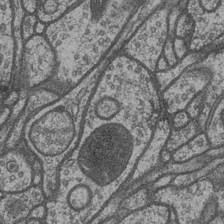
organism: Drosophila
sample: Optic medulla